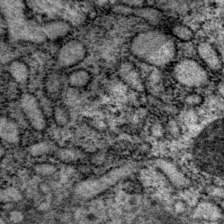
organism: P. pacificus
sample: Pharynx